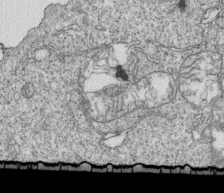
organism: Human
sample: HeLa cell HIV synapse